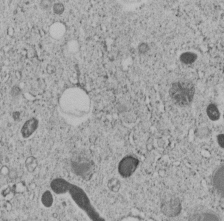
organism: C. elegans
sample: C. elegans embryo early stage